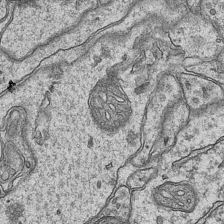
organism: Mouse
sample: CA1 Hippocampus